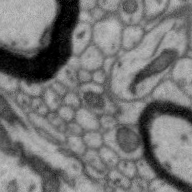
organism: Zebra finch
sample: Brain